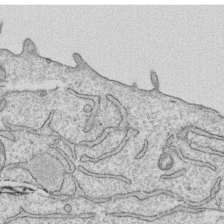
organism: Human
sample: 1205lu cells